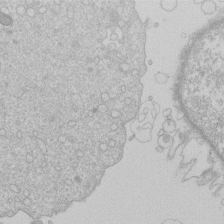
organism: Human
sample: Macrophage cells